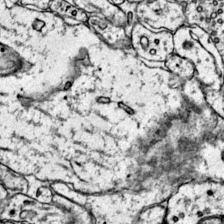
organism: Mouse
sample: Primary visual cortex